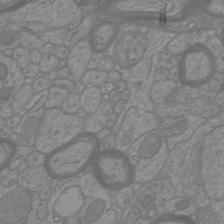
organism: Mouse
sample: Cortical neurons